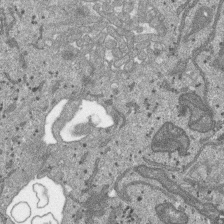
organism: Human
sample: Lung epithelial cells infected with SARS-CoV-2